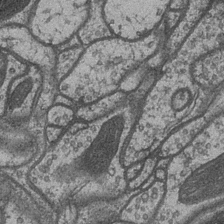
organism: Drosophila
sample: Optic medulla